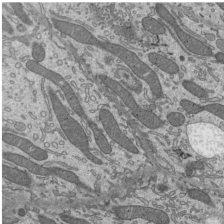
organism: Mouse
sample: Mouse epididymis efferent ductule cilia